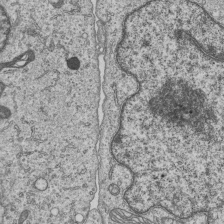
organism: Human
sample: MDA-MB-231 cells